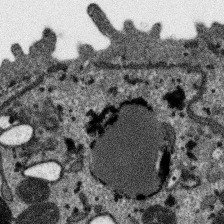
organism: Human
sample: Lung epithelial cells infected with SARS-CoV-2